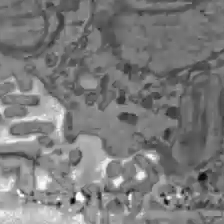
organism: C57BL Mouse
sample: Liver